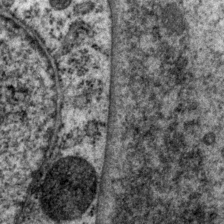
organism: P. pacificus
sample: Pharynx